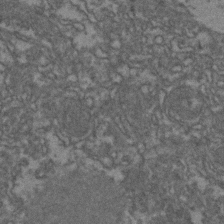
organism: Zebrafish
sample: Zebrafish embryo